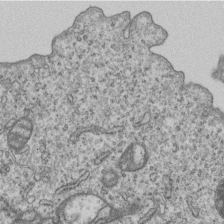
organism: Human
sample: MDA-MB-231 cells